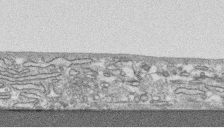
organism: Human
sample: CRL-1474